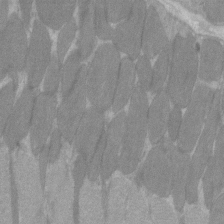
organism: C57BL Mouse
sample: Tibialis anterior muscle cell